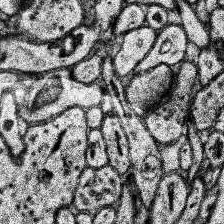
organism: Human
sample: Temporal Lobe